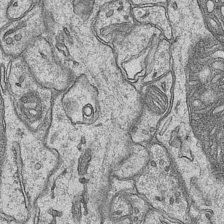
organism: Mouse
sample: CA1 Hippocampus